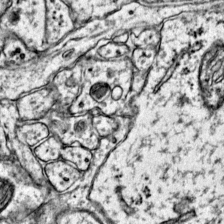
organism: Mouse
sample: Primary visual cortex